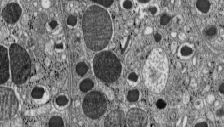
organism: C57BL Mouse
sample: Pancreatic islet